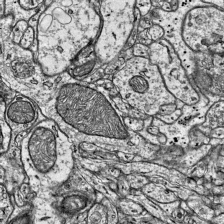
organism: Mouse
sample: Visual Cortex